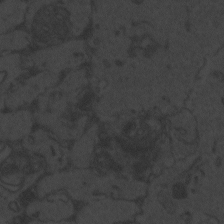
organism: Zebrafish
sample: Macrophage infected with Toxoplasma gondii